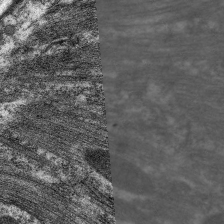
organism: C. elegans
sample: Pharynx